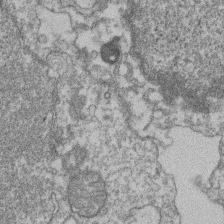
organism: Mouse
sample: T cell stromal cell synapse